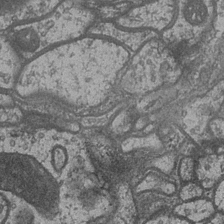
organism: Drosophila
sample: Optic medulla